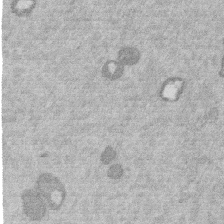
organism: Mouse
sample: Dividing mouse embryo 1 cell stage